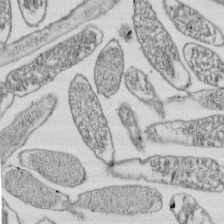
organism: E. coli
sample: Bacterial nucleoid